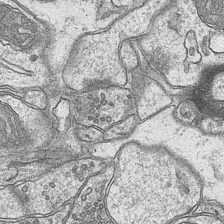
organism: Mouse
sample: CA1 Hippocampus